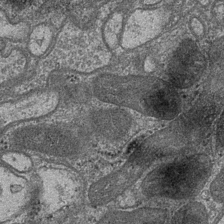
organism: Drosophila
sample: Optic medulla